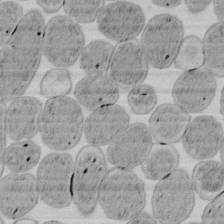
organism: E. coli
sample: Bacterial nucleoid